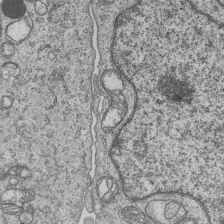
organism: Human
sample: MDA-MB-231 cells